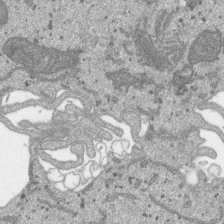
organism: Human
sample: Lung epithelial cells infected with SARS-CoV-2